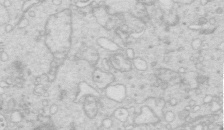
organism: Mouse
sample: Multiciliated cells